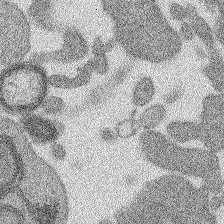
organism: Human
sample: HeLa cells